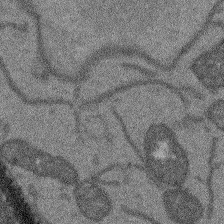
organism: Arabidopsis thaliana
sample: Root tip